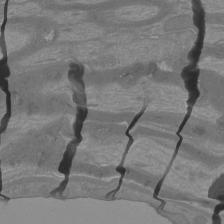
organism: Mouse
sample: Cortical neurons